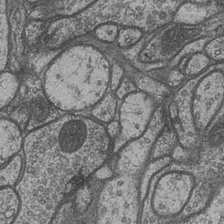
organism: Drosophila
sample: Optic medulla